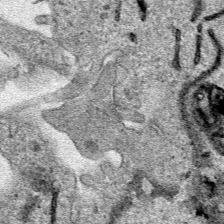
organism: Human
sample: Mitochondria in HCT116 cells